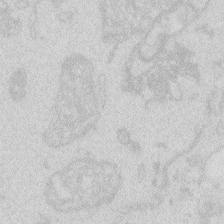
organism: Zebrafish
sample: Macrophage